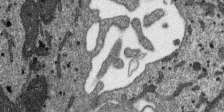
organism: Human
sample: Lung epithelial cells infected with SARS-CoV-2